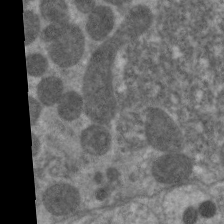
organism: C. elegans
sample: Pharynx